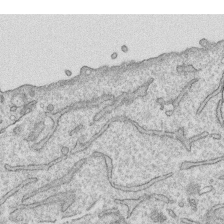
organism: Human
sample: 1205lu cells